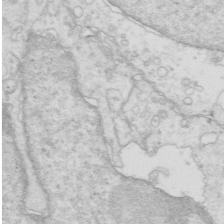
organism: Mouse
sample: Multiciliated cells